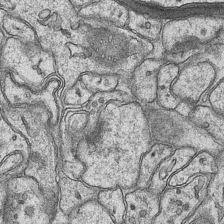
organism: Mouse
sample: CA1 Hippocampus